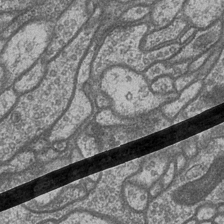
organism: Drosophila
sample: Optic medulla